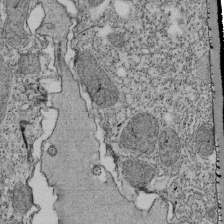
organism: Tetrahymena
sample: Cilia in tetrahymena